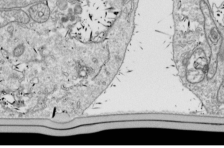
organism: Drosophila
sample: Cell division; meiosis; drosophila spermatocytes